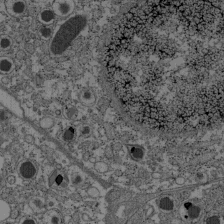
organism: C57BL Mouse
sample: Pancreatic islet